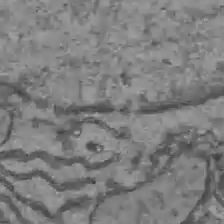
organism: C57BL Mouse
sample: Liver